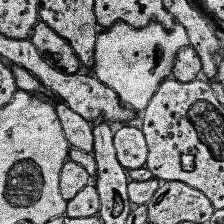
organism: Human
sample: Temporal Lobe